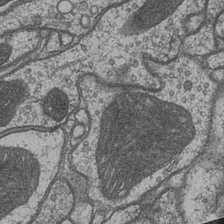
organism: Drosophila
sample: Optic medulla